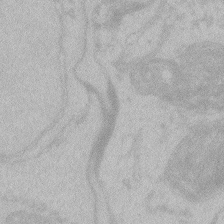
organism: Zebrafish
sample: Macrophage infected with Toxoplasma gondii